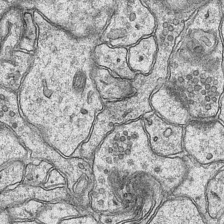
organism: Mouse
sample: CA1 Hippocampus